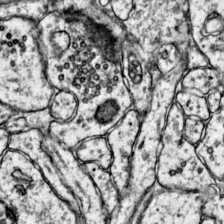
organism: Mouse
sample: Primary visual cortex